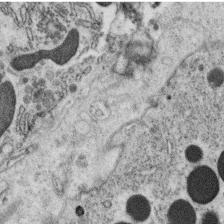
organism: C. elegans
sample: C. elegans oocyte; sperm cells